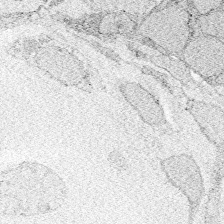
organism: Zebrafish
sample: Whole-Brain